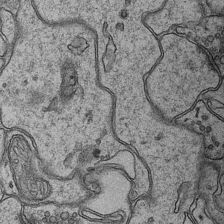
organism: Mouse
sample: CA1 Hippocampus